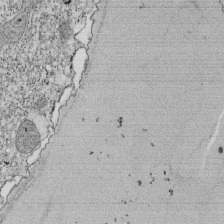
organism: Tetrahymena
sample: Cilia in tetrahymena